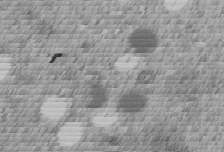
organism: C. elegans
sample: C. elegans embryo early stage